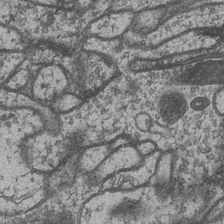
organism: Drosophila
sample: Optic medulla